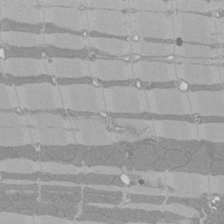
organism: Rat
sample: Left ventricle